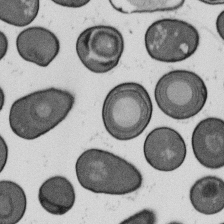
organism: B. subtilis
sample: Bacterial spore